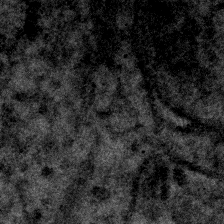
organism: Human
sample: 1205lu cells